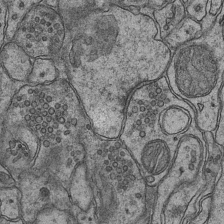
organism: Mouse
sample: CA1 Hippocampus